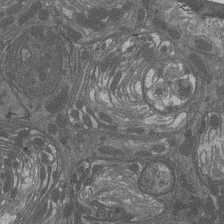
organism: Drosophila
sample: Antenna